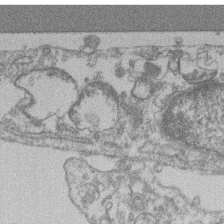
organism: Mouse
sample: T cell stromal cell synapse